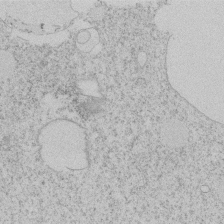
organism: Tetrahymena